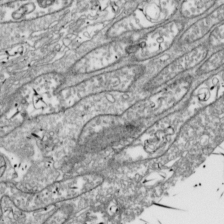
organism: Drosophila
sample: Cell division; meiosis; drosophila spermatocytes